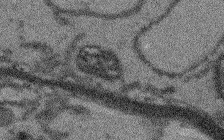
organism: Arabidopsis thaliana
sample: Root tip